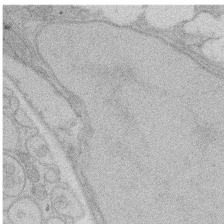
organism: Rat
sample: Salivary granule